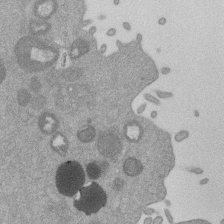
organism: Mouse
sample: Dividing mouse embryo 1 cell stage